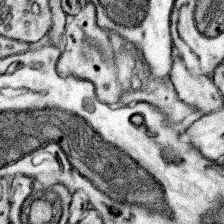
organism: Mouse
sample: Somatosensory cortex neuropil